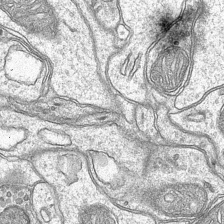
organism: Mouse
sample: CA1 Hippocampus